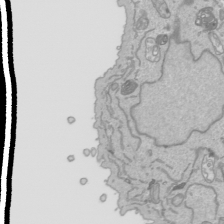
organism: Human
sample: Mitochondria in HCT116 cells